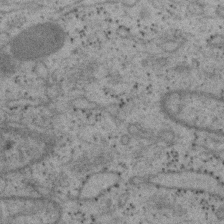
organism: Human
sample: HeLa cells